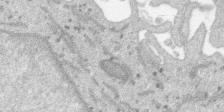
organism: Human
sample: Lung epithelial cells infected with SARS-CoV-2